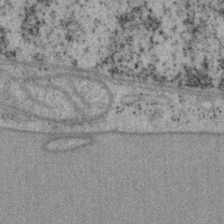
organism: Human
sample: HeLa cells